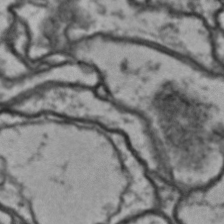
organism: Drosophila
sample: Brain